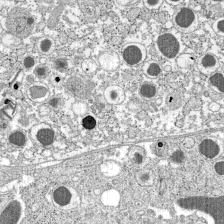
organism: C57BL Mouse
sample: Pancreatic islet